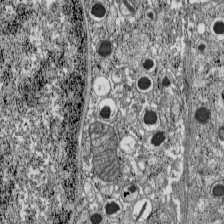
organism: C57BL Mouse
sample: Pancreatic islet